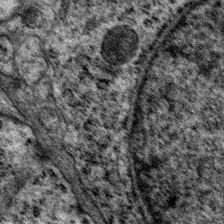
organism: P. pacificus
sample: Pharynx